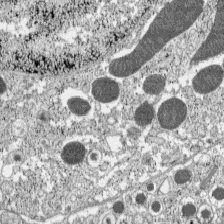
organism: C57BL Mouse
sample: Pancreatic islet